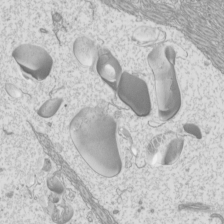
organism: Mouse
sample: Cilia; mouse epididymis